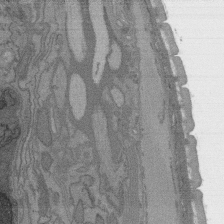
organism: C. elegans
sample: AFD neurons C. elegans